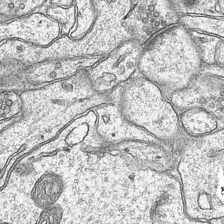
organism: Mouse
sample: CA1 Hippocampus